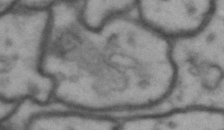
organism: Drosophila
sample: Brain